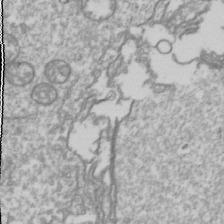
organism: Drosophila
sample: Cell division; meiosis; drosophila spermatocytes